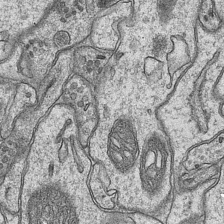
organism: Mouse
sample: CA1 Hippocampus